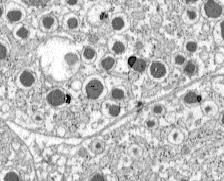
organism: C57BL Mouse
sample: Pancreatic islet